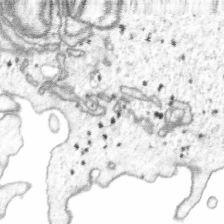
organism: Human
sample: HeLa cells